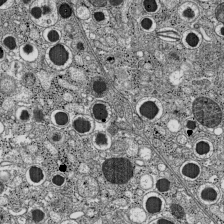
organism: C57BL Mouse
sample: Pancreatic islet